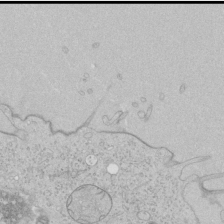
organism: Human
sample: Mitochondria in HCT116 cells